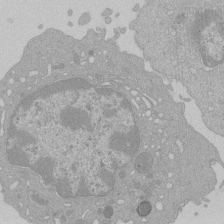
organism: Mouse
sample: Activated Pmel transgenic CD8+ T Cells